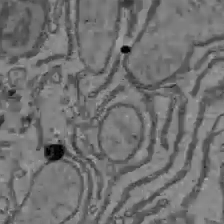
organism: C57BL Mouse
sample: Liver